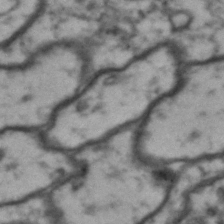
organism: Drosophila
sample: Brain